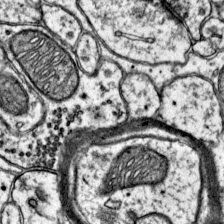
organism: Mouse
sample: Primary visual cortex